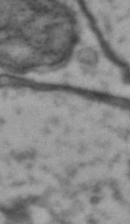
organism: Drosophila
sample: Brain